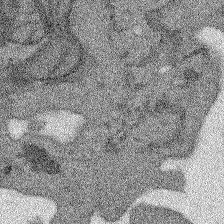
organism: Human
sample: HeLa cells